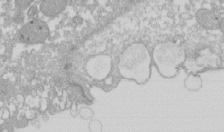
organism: Xenopus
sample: Cilia; centrioles in frog embryo cells